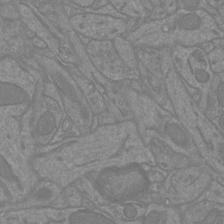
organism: Mouse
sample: Cortical neurons